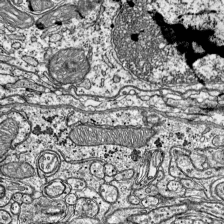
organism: Mouse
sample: Visual Cortex